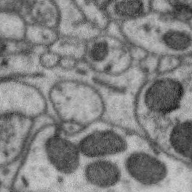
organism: Zebra finch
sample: Brain